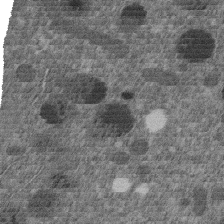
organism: C. elegans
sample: C. elegans embryo early stage